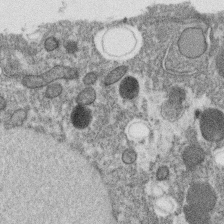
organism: C. elegans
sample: C. elegans oocyte; sperm cells